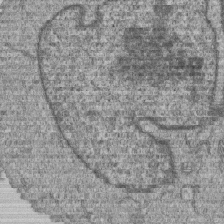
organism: Human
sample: MDA-MB-231 cells